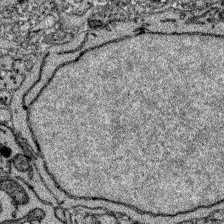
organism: Zebrafish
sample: Larval olfactory bulb